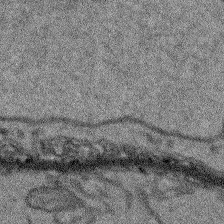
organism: Arabidopsis thaliana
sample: Root tip